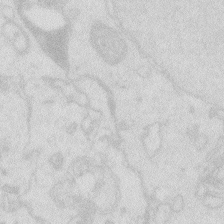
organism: Zebrafish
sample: Macrophage